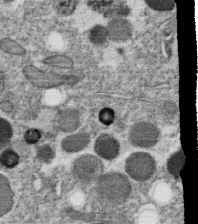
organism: C. elegans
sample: C. elegans oocyte; sperm cells